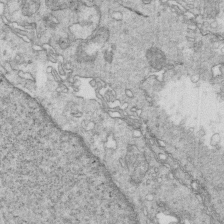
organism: Mouse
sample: Multiciliated cells